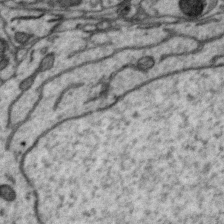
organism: Zebra finch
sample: Brain